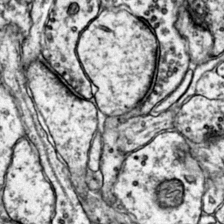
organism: Mouse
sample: Primary visual cortex